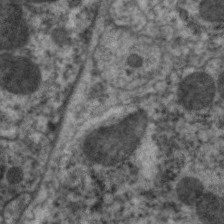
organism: C. elegans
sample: Pharynx